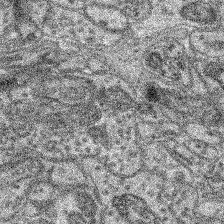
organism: Mouse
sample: Retina